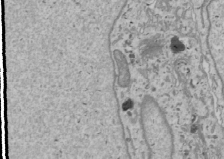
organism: Human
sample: Mitochondria in U2OS cells